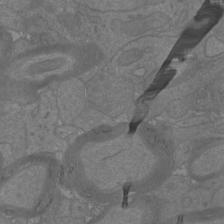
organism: Mouse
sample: Cortical neurons